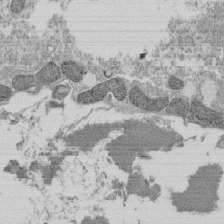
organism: Tetrahymena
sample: Cilia in tetrahymena